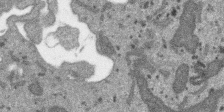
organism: Human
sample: Lung epithelial cells infected with SARS-CoV-2